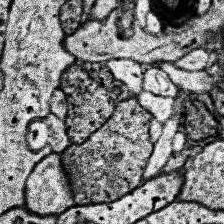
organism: Human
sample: Temporal Lobe